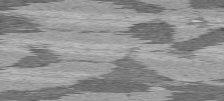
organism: C57BL Mouse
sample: Heart